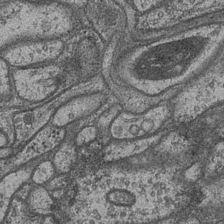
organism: Drosophila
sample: Optic medulla